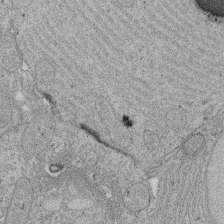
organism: Rat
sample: Salivary granule